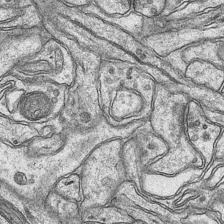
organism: Mouse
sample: CA1 Hippocampus